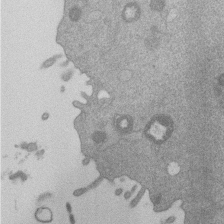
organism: Mouse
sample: Dividing mouse embryo 1 cell stage